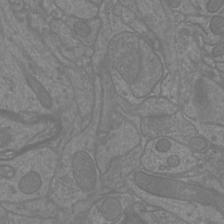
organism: Mouse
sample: Cortical neurons